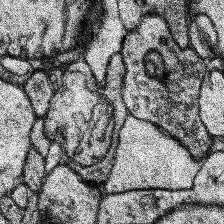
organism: Human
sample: Temporal Lobe